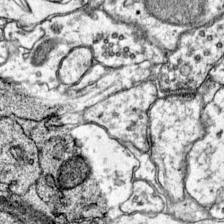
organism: Mouse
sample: Primary visual cortex